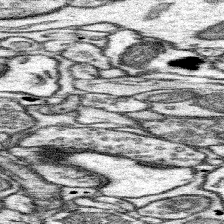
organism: Mouse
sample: Somatosensory cortex neuropil